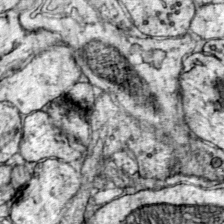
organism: Mouse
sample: Primary visual cortex